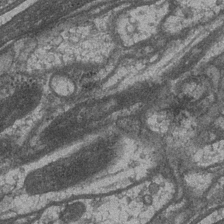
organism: Drosophila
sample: Optic medulla